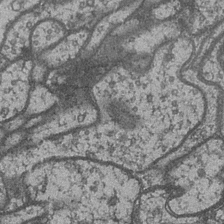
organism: Drosophila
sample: Optic medulla